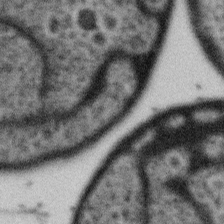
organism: Gemmata obscuriglobus